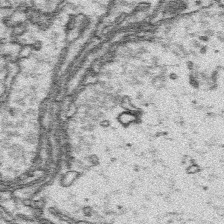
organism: Platynereis dumerilii